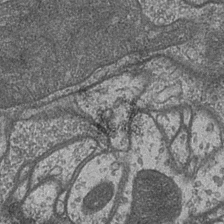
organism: Drosophila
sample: Optic medulla